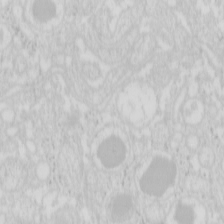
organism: Mouse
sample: Pancreas